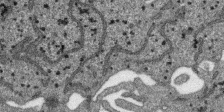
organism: Human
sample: Lung epithelial cells infected with SARS-CoV-2